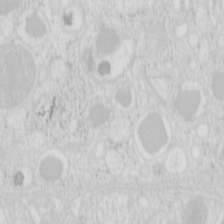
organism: Mouse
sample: Pancreas